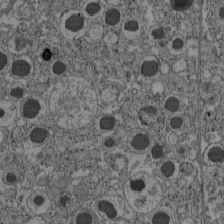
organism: C57BL Mouse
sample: Pancreatic islet